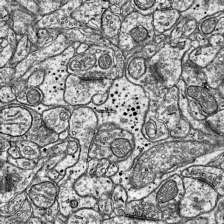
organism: Mouse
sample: Visual Cortex